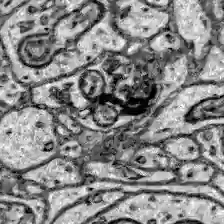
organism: Zebrafish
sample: Brain